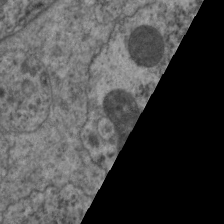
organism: C. elegans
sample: Pharynx